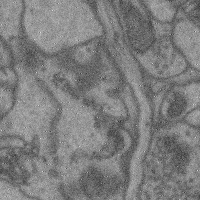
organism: Mouse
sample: Cerebral cortex